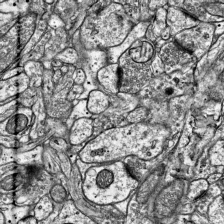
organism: Mouse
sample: Visual Cortex